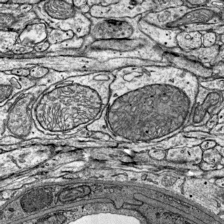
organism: Mouse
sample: Visual Cortex